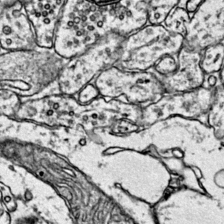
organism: Mouse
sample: Primary visual cortex